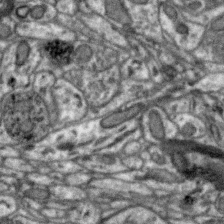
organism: Zebra finch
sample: Brain